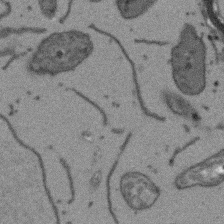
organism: Arabidopsis thaliana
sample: Root tip